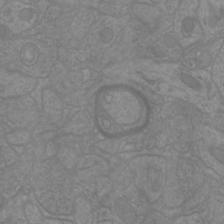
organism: Mouse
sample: Cortical neurons